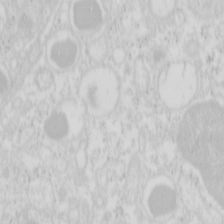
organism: Mouse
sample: Pancreas